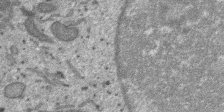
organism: Human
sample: Lung epithelial cells infected with SARS-CoV-2